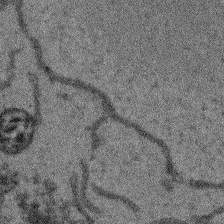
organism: Arabidopsis thaliana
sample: Root tip